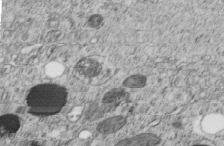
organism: C. elegans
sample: C. elegans embryo early stage